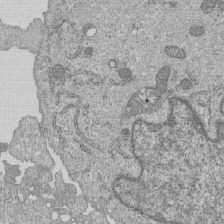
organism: Human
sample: MDA-MB-231 cells